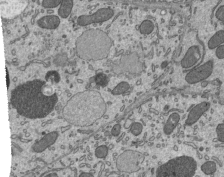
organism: Mouse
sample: Mouse epididymis efferent ductule cilia